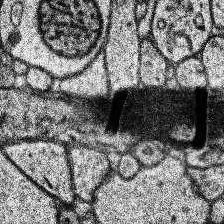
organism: Human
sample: Temporal Lobe